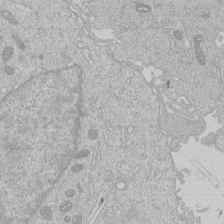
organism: Human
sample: Macrophage cells